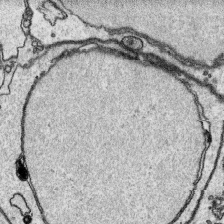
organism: Platynereis dumerilii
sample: Parapodia